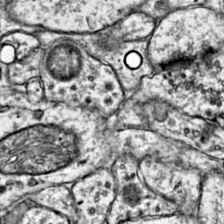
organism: Mouse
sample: Primary visual cortex